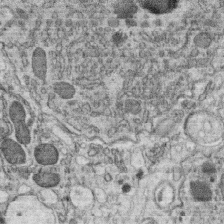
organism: C. elegans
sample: C. elegans oocyte; sperm cells